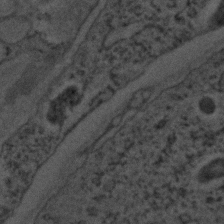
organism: C. elegans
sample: C. elegans embryo